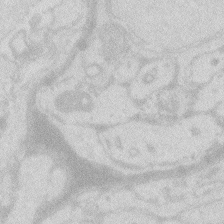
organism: Zebrafish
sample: Macrophage